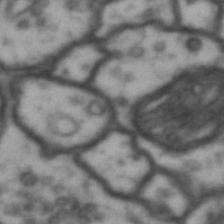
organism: Drosophila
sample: Brain